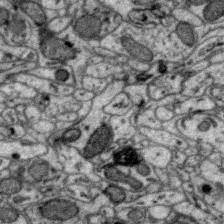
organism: Zebra finch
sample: Brain